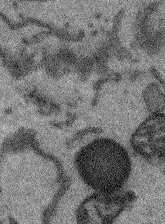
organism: Arabidopsis thaliana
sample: Root tip